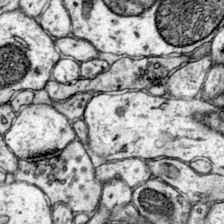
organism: Mouse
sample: Primary visual cortex